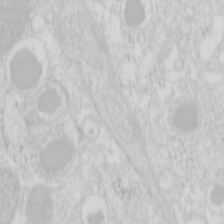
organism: Mouse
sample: Pancreas